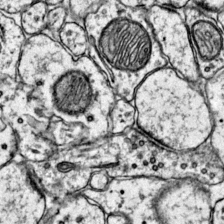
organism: Mouse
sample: Primary visual cortex